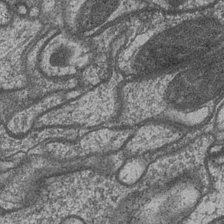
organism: Drosophila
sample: Optic medulla